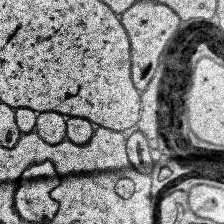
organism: Human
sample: Temporal Lobe